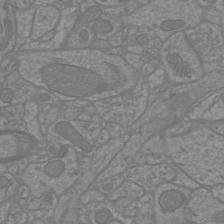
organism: Mouse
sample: Cortical neurons